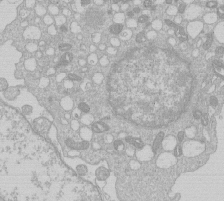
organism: Human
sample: Macrophage cells